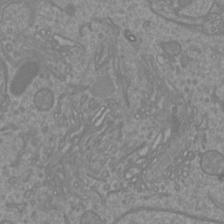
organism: Mouse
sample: Cortical neurons